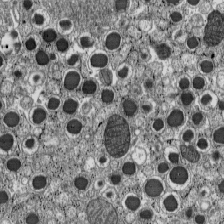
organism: C57BL Mouse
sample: Pancreatic islet